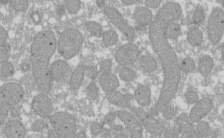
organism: Xenopus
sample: Cilia; centrioles in frog embryo cells